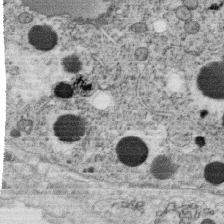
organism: C. elegans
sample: C. elegans oocyte; sperm cells